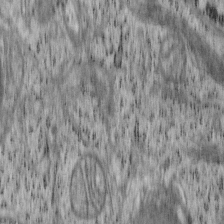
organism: Human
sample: HeLa cells